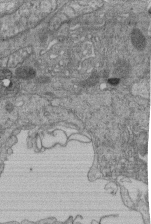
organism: Human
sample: Retinal organoid Rod and Cone cells